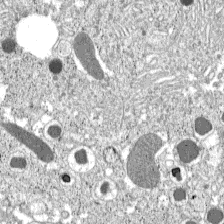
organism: C57BL Mouse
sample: Pancreatic islet